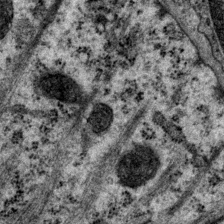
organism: P. pacificus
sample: Pharynx